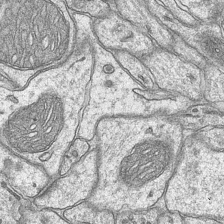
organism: Mouse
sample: CA1 Hippocampus